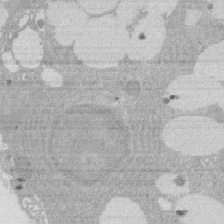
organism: Rat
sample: Salivary granule